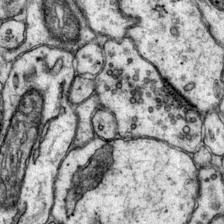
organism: Mouse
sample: Primary visual cortex